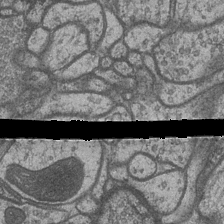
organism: Drosophila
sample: Optic medulla